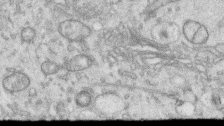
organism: Human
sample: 1205lu cells